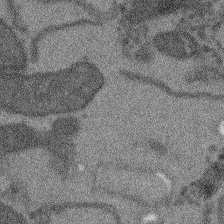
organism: Arabidopsis thaliana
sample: Root tip